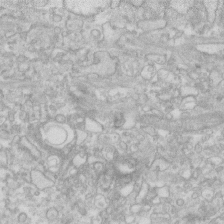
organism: Human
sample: Fibroblast cells